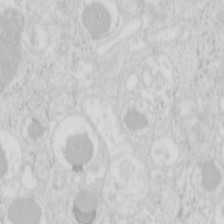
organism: Mouse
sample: Pancreas